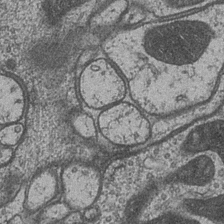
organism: Drosophila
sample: Optic medulla